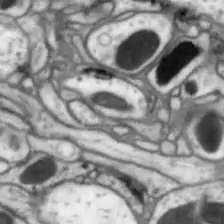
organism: Drosophila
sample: Optic lobe